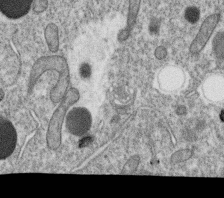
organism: C. elegans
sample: C. elegans oocyte; sperm cells